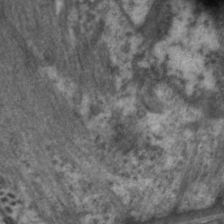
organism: C. elegans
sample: Pharynx